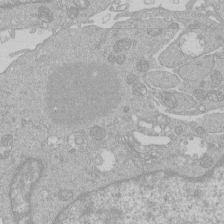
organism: Human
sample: Macrophage cells